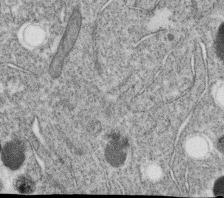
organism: C. elegans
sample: C. elegans oocyte; sperm cells